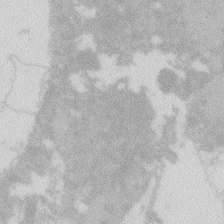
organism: Zebrafish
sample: Macrophage